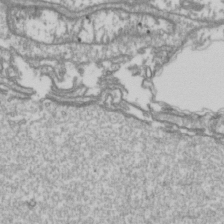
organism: Drosophila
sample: Cell division; meiosis; drosophila spermatocytes